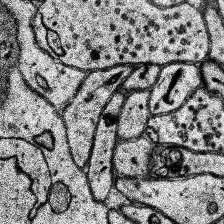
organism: Human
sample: Temporal Lobe